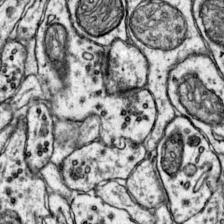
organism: Mouse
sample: Primary visual cortex